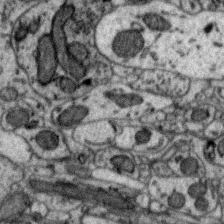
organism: Zebra finch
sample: Brain